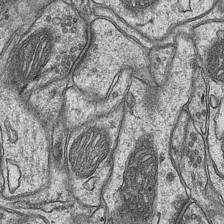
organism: Mouse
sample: CA1 Hippocampus